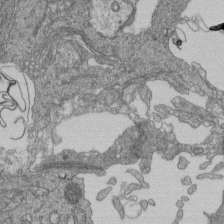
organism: Human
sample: Retinal organoid Rod and Cone cells